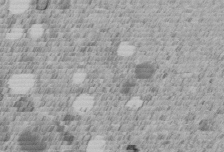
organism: C. elegans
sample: C. elegans embryo early stage